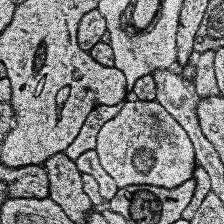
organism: Human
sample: Temporal Lobe